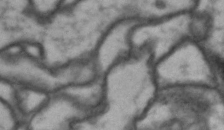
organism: Drosophila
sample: Brain